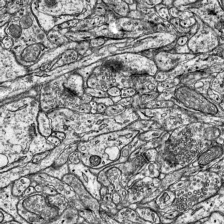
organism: Mouse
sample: Visual Cortex